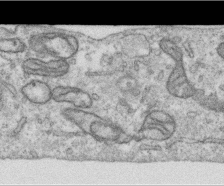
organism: Human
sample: Centriole in RPE cells